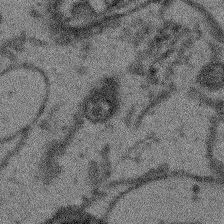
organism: Arabidopsis thaliana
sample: Root tip